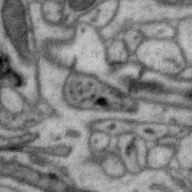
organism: Zebra finch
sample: Brain